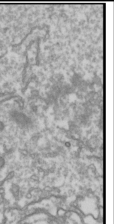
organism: Drosophila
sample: Cell division; meiosis; drosophila spermatocytes